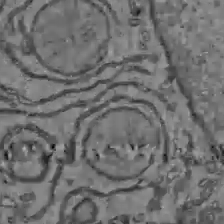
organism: C57BL Mouse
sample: Liver